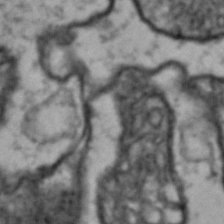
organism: Drosophila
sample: Brain